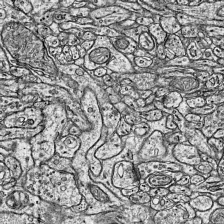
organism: Mouse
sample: Visual Cortex